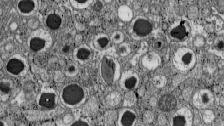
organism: C57BL Mouse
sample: Pancreatic islet